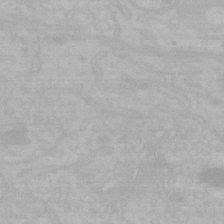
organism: Mouse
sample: Choroid plexus